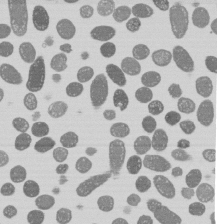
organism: E. coli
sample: Bacterial nucleoid